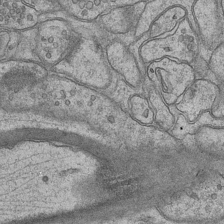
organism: Mouse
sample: CA1 Hippocampus